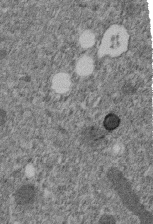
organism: C. elegans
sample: C. elegans embryo early stage